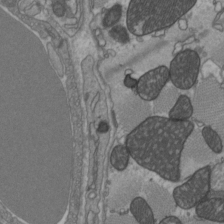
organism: C57BL Mouse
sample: Heart